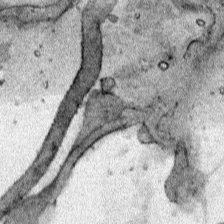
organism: Human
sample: Mitochondria in HCT116 cells